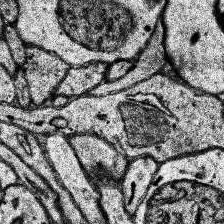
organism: Human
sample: Temporal Lobe